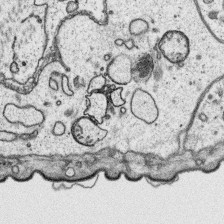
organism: Platynereis dumerilii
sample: Parapodia